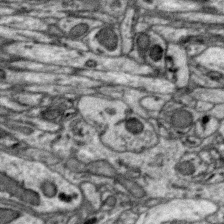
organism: Zebra finch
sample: Brain